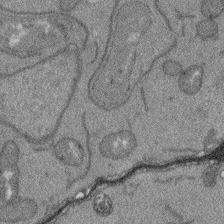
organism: Arabidopsis thaliana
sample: Root tip